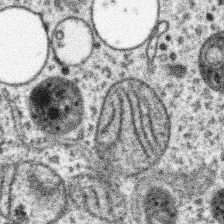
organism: Human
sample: HeLa cells